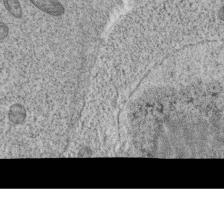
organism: C. elegans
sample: C. elegans oocyte; sperm cells